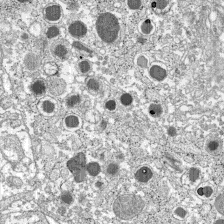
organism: C57BL Mouse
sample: Pancreatic islet